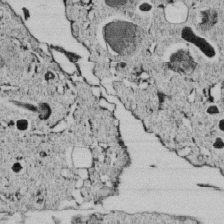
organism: C. elegans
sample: C. elegans embryo early stage